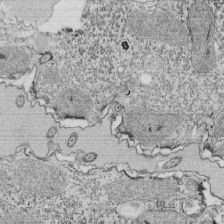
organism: Tetrahymena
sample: Cilia in tetrahymena